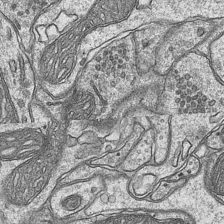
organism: Mouse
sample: CA1 Hippocampus